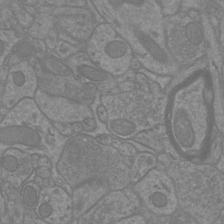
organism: Mouse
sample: Cortical neurons